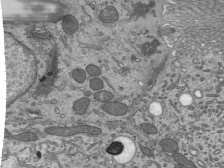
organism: Mouse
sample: Mouse epididymis efferent ductule cilia